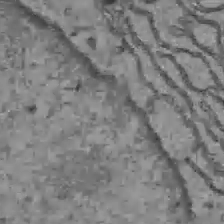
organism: C57BL Mouse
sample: Liver